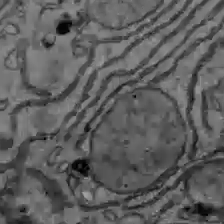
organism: C57BL Mouse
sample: Liver